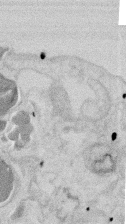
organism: Mouse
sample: T cell stromal cell synapse